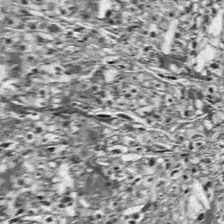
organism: Drosophila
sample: Optic lobe